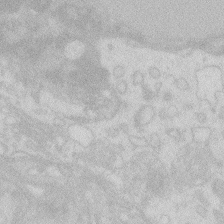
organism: Zebrafish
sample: Macrophage